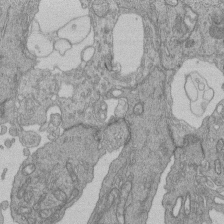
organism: Human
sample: Retinal organoid Rod and Cone cells